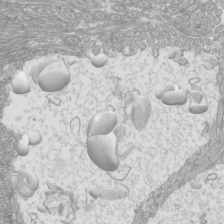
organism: Mouse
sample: Cilia; mouse epididymis